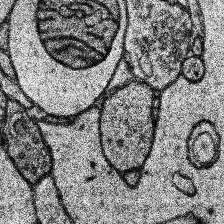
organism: Human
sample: Temporal Lobe